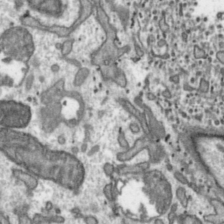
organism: Toxoplasma gondii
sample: Parasites in a vacuole inside a host cell